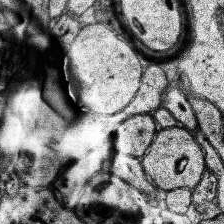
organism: Human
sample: Temporal Lobe